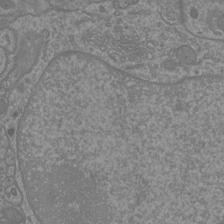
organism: Mouse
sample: Cortical neurons